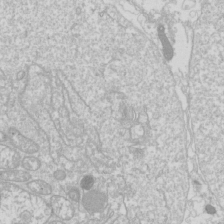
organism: Drosophila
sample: Cell division; meiosis; drosophila spermatocytes